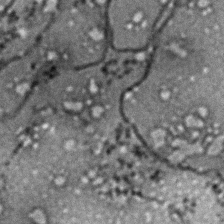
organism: Zebrafish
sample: Zebrafish embryo